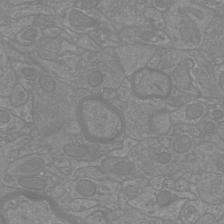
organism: Mouse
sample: Cortical neurons